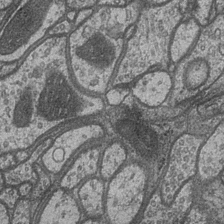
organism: Drosophila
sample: Optic medulla